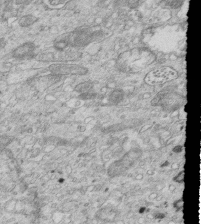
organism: Mouse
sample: Multiciliated cells